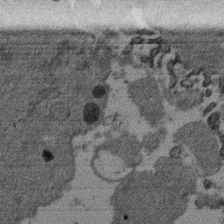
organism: Mouse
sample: Dividing mouse embryo 1 cell stage